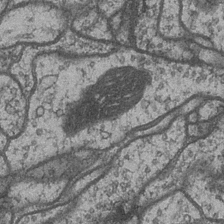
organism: Drosophila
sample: Optic medulla